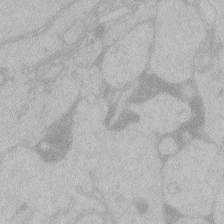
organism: Zebrafish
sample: Macrophage infected with Toxoplasma gondii